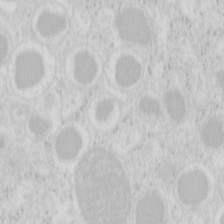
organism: Mouse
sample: Pancreas